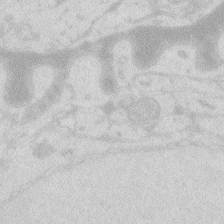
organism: Zebrafish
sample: Macrophage